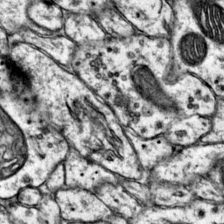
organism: Mouse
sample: Primary visual cortex